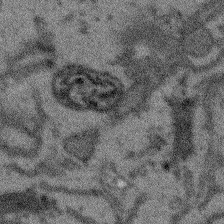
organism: Arabidopsis thaliana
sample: Root tip